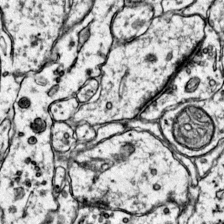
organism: Mouse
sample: Primary visual cortex